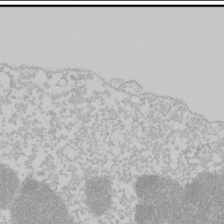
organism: Mouse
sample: Cancer cell death in ED-1 cells